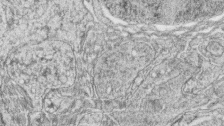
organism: Zebrafish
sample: synaptic ribbons in rod cells and cone cells